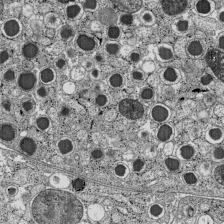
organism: C57BL Mouse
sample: Pancreatic islet